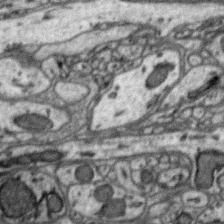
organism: Zebra finch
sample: Brain